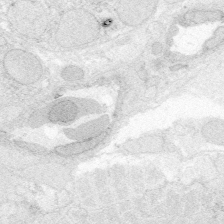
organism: Zebrafish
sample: Whole-Brain